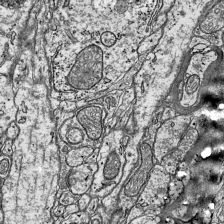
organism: Mouse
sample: Visual Cortex